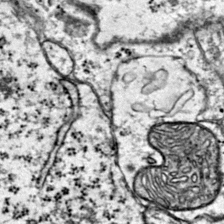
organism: Mouse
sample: Primary visual cortex